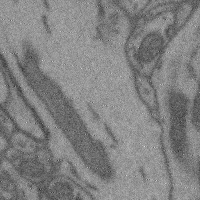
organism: Mouse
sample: Cerebral cortex